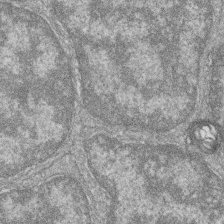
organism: Zebrafish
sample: Cilia; retinal pigment epithelium